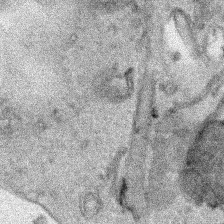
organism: Human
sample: Mitochondria in HCT116 cells